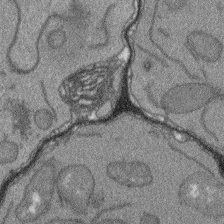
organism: Arabidopsis thaliana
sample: Root tip